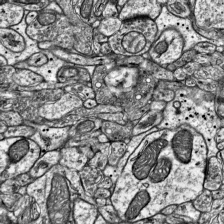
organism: Mouse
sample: Visual Cortex